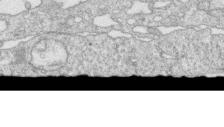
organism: Human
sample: HeLa cell HIV synapse